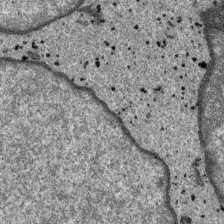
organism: Human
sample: Lung epithelial cells, uninfected (mock) control